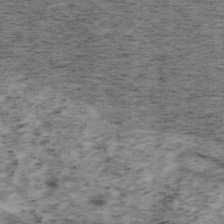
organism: Mouse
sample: OT-I killer T cells with ID8 ovarian cancer cells